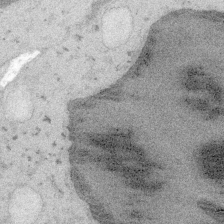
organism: Embia sp.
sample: Silk gland